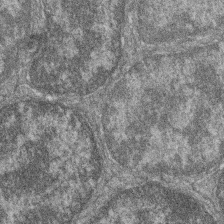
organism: Zebrafish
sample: Cilia; retinal pigment epithelium